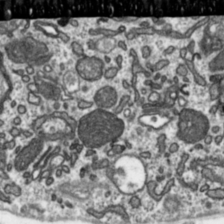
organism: Toxoplasma gondii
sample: Parasites in a vacuole inside a host cell